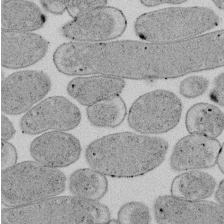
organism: E. coli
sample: Bacterial nucleoid